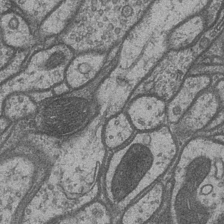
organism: Drosophila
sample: Optic medulla